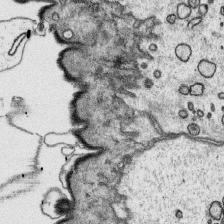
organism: Platynereis dumerilii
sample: Parapodia